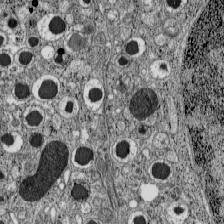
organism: C57BL Mouse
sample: Pancreatic islet